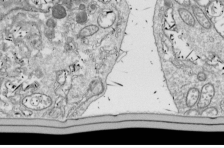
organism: Drosophila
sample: Cell division; meiosis; drosophila spermatocytes